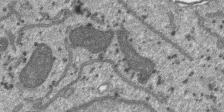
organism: Human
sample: Lung epithelial cells infected with SARS-CoV-2